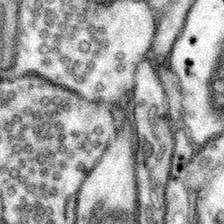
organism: Mouse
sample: Somatosensory cortex neuropil